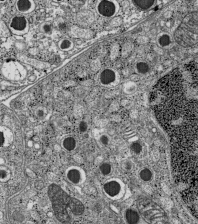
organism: C57BL Mouse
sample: Pancreatic islet